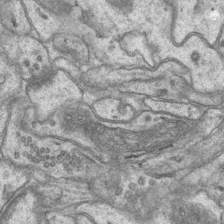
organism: Mouse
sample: CA1 Hippocampus